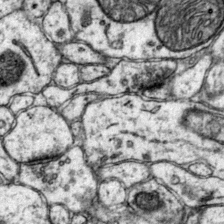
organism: Mouse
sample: Primary visual cortex